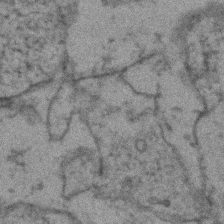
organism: Zebrafish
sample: Zebrafish embryo